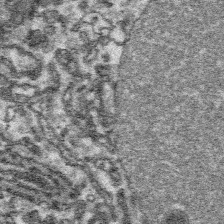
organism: Platynereis dumerilii